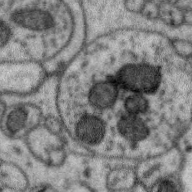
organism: Zebra finch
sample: Brain